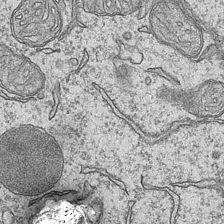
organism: Mouse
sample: CA1 Hippocampus